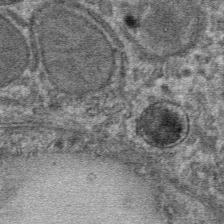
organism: Mouse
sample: Mouse hepatocytes